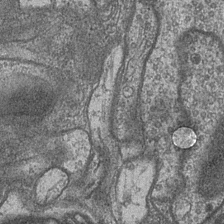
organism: Drosophila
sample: Optic medulla